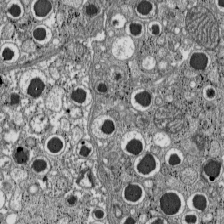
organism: C57BL Mouse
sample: Pancreatic islet